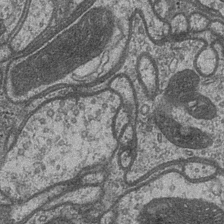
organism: Drosophila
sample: Optic medulla